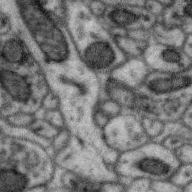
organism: Zebra finch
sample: Brain